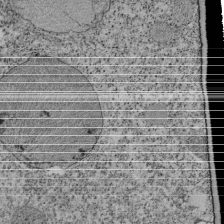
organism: Tetrahymena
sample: Cilia in tetrahymena